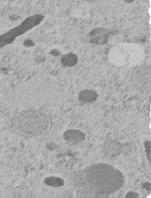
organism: C. elegans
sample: C. elegans embryo early stage